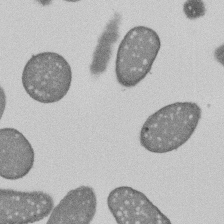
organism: E. coli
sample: Bacterial nucleoid